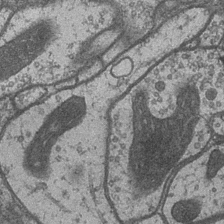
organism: Drosophila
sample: Optic medulla